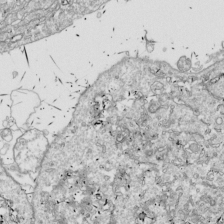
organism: Drosophila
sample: Cell division; meiosis; drosophila spermatocytes